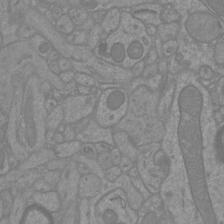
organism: Mouse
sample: Cortical neurons